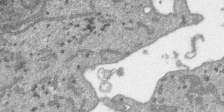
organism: Human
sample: Lung epithelial cells infected with SARS-CoV-2